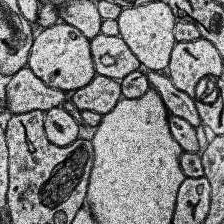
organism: Human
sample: Temporal Lobe